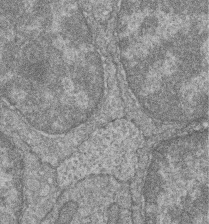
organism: Zebrafish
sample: Cilia; retinal pigment epithelium